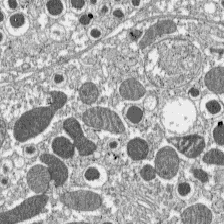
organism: C57BL Mouse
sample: Pancreatic islet